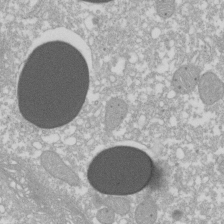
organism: Xenopus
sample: Cilia; centrioles in frog embryo cells